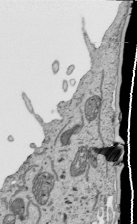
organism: Human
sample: Mitochondria in HCT116 cells